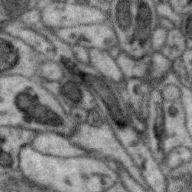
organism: Zebra finch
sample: Brain